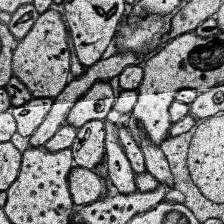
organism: Human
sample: Temporal Lobe